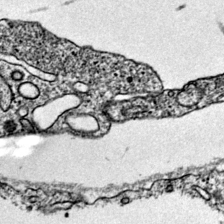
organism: Mouse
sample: Primary visual cortex